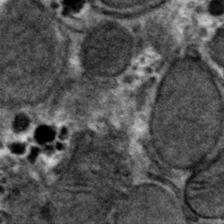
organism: Mouse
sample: Mouse hepatocytes